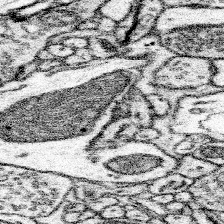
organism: Mouse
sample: Somatosensory cortex neuropil